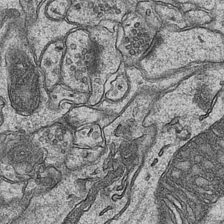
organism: Mouse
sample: CA1 Hippocampus